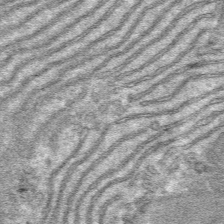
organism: Mouse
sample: Mouse hepatocytes